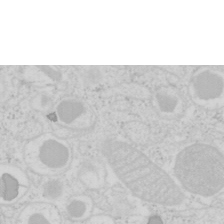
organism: Mouse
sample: Pancreas